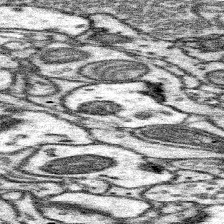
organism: Mouse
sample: Somatosensory cortex neuropil